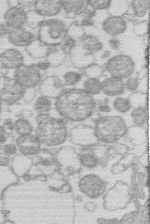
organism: Human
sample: Macrophage cells